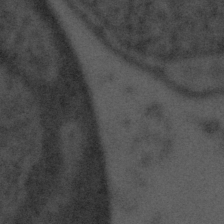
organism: Tuwongella immobilis